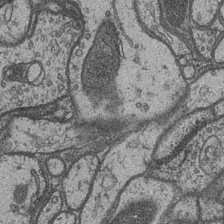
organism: Drosophila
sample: Optic medulla